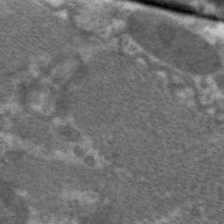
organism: C. elegans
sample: Pharynx